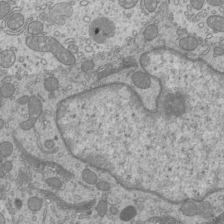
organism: Mouse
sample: Cilia; mouse epididymis